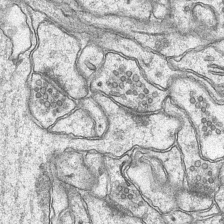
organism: Mouse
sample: CA1 Hippocampus